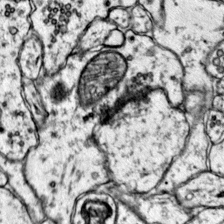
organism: Mouse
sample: Primary visual cortex